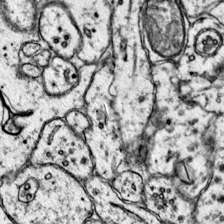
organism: Mouse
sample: Primary visual cortex